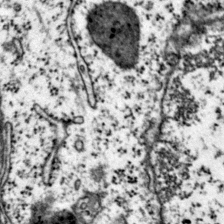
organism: Mouse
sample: Primary visual cortex